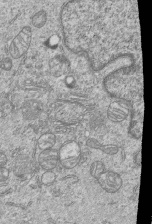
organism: Human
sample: MDA-MB-231 cells